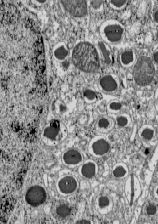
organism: C57BL Mouse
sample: Pancreatic islet